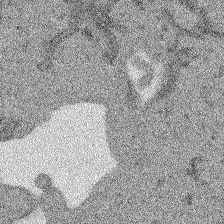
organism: Human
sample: HeLa cells